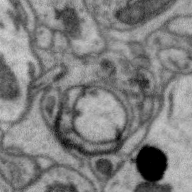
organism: Zebra finch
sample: Brain